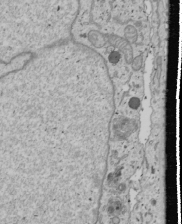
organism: Human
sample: Mitochondria in U2OS cells